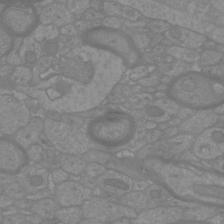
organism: Mouse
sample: Cortical neurons